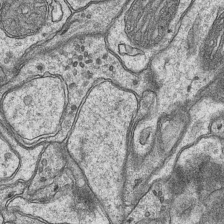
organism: Mouse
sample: CA1 Hippocampus